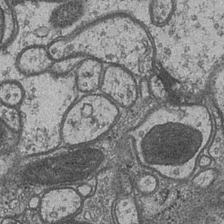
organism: Drosophila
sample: Optic medulla